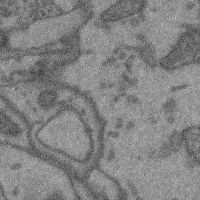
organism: Mouse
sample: Cerebral cortex